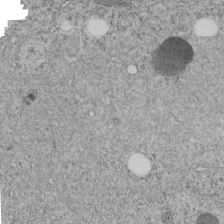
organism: C. elegans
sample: C. elegans embryo early stage